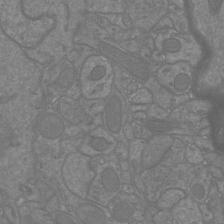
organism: Mouse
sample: Cortical neurons